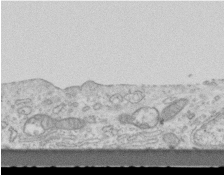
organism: Mouse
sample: Centriole in ependymal cells